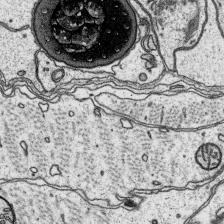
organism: Platynereis dumerilii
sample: Parapodia